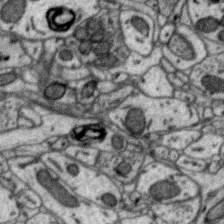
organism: Zebra finch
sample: Brain